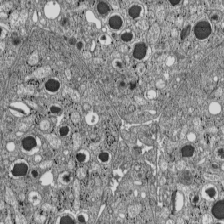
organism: C57BL Mouse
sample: Pancreatic islet